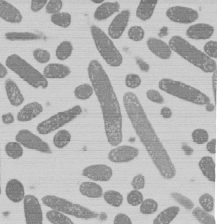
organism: E. coli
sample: Bacterial nucleoid